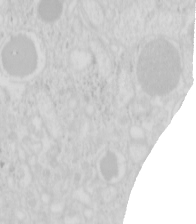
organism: Mouse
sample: Pancreas